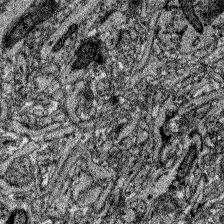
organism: Zebrafish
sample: Larval olfactory bulb